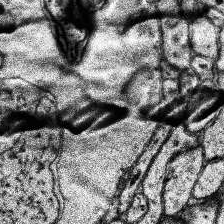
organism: Human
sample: Temporal Lobe